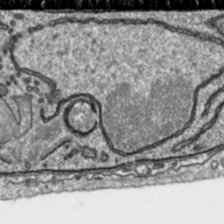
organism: Toxoplasma gondii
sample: Parasites in a vacuole inside a host cell